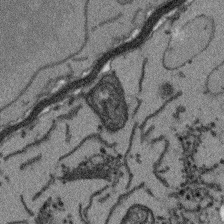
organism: Arabidopsis thaliana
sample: Root tip